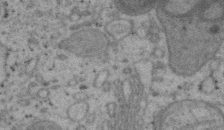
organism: Human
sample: HeLa cells